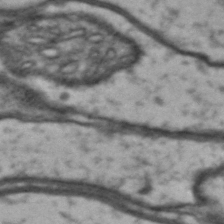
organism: Drosophila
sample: Brain